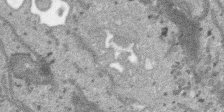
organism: Human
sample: Lung epithelial cells infected with SARS-CoV-2